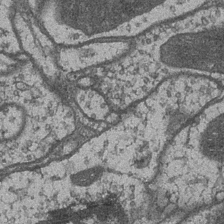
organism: Drosophila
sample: Optic medulla